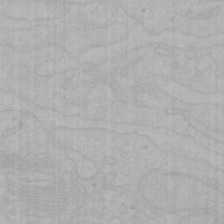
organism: Mouse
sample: Choroid plexus